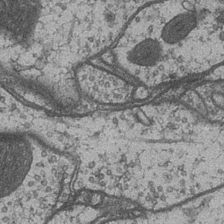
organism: Drosophila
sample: Optic medulla